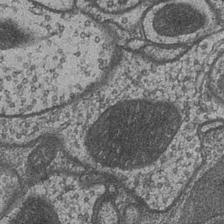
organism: Drosophila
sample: Optic medulla